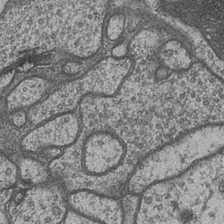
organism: Drosophila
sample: Optic medulla